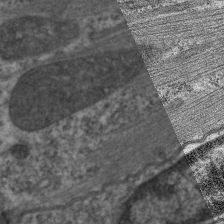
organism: C. elegans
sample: Pharynx